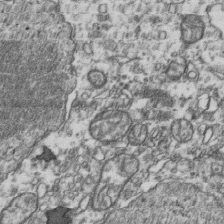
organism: Human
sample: Activated Jurkat CD4+ T cells